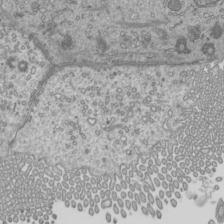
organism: Mouse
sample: Cilia; mouse epididymis